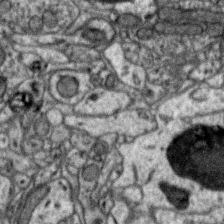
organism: Zebra finch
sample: Brain